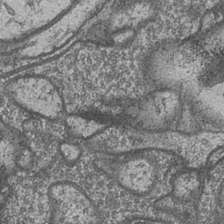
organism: Drosophila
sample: Optic medulla